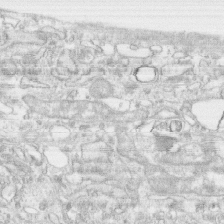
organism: Human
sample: CRL-1474